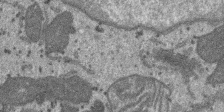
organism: Human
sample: Lung epithelial cells infected with SARS-CoV-2